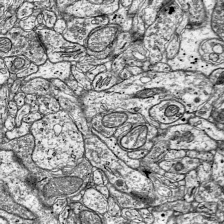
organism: Mouse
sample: Visual Cortex